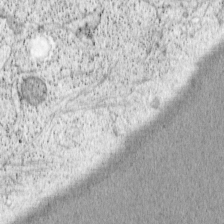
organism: African green monkey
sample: COS-7 cells